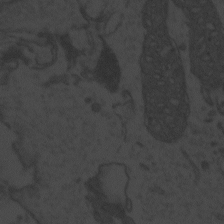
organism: Zebrafish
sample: Macrophage infected with Toxoplasma gondii